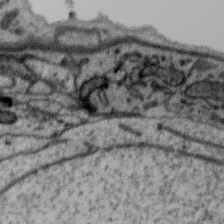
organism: Zebra finch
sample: Brain